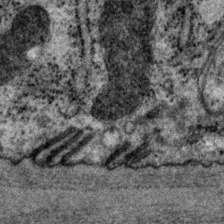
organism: P. pacificus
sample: Pharynx